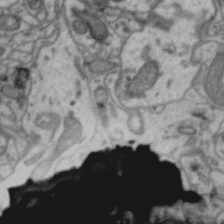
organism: Zebra finch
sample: Brain